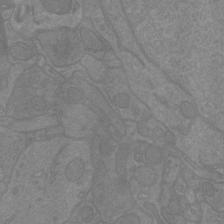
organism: Mouse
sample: Cortical neurons